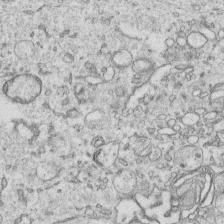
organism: Human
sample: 1205lu cells